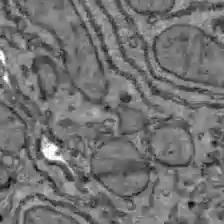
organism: C57BL Mouse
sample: Liver